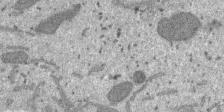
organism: Human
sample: Lung epithelial cells infected with SARS-CoV-2